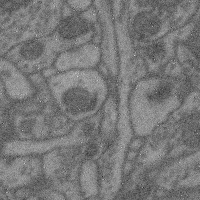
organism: Mouse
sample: Cerebral cortex